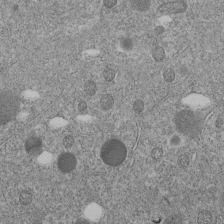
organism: C. elegans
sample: C. elegans embryo early stage